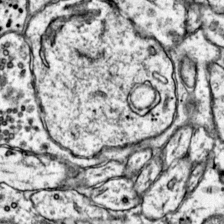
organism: Mouse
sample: Primary visual cortex